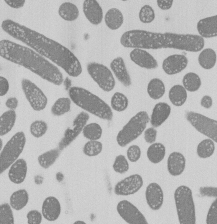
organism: E. coli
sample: Bacterial nucleoid